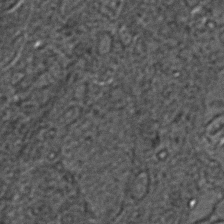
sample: Trachea